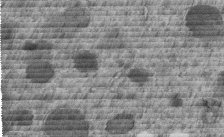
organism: C. elegans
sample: C. elegans embryo early stage